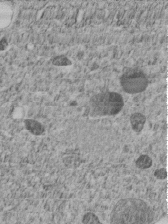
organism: C. elegans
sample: C. elegans embryo early stage